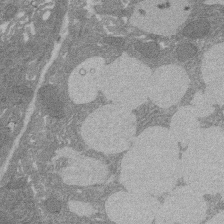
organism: Rat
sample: Salivary granule